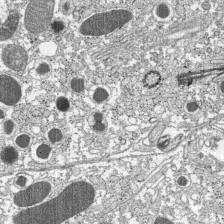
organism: C57BL Mouse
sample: Pancreatic islet